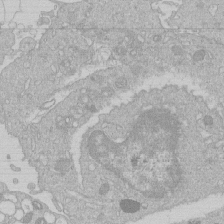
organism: Human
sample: Macrophage cells